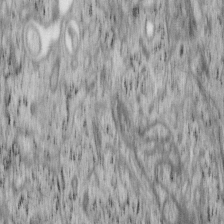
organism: Human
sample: HeLa cells